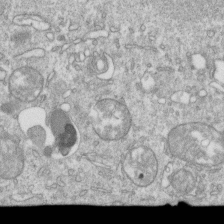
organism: Mouse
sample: Activated OT-1 CD8+ T cells